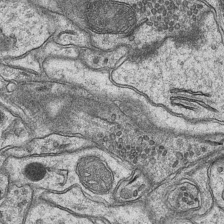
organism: Mouse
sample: CA1 Hippocampus